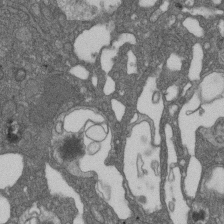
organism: Drosophila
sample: Nephrocyte